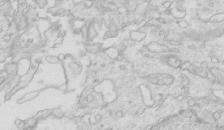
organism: Mouse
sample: Multiciliated cells